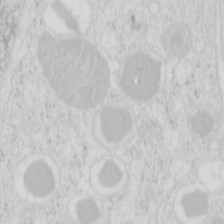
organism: Mouse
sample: Pancreas